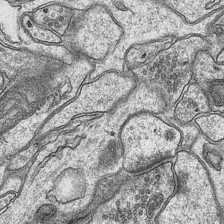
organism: Mouse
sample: CA1 Hippocampus